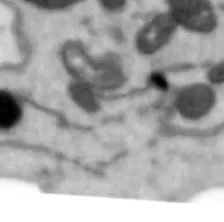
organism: Human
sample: SH-SY5Y cells